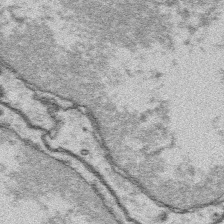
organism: Platynereis dumerilii